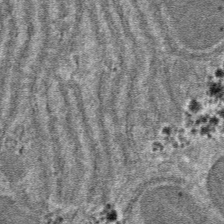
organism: Mouse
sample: Mouse hepatocytes